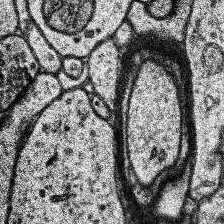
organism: Human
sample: Temporal Lobe